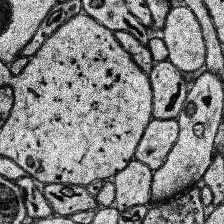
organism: Human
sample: Temporal Lobe